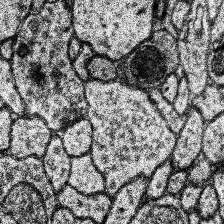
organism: Human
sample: Temporal Lobe